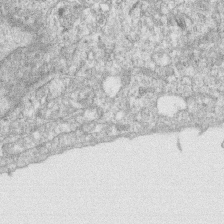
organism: Human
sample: HeLa cell HIV synapse